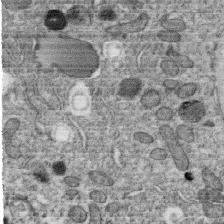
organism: C. elegans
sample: C. elegans oocyte; sperm cells